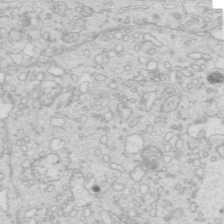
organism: Mouse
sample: Multiciliated cells